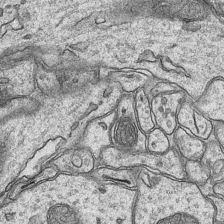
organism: Mouse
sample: CA1 Hippocampus